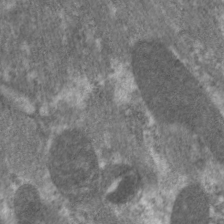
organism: C. elegans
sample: Pharynx